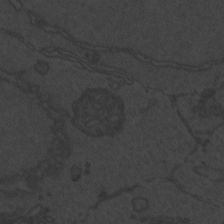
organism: Zebrafish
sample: Macrophage infected with Toxoplasma gondii